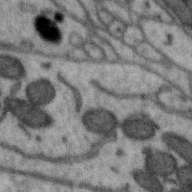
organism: Zebra finch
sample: Brain